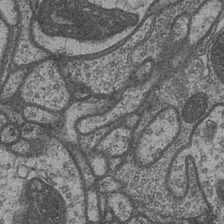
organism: Drosophila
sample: Optic medulla